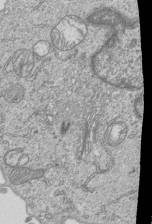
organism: Human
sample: MDA-MB-231 cells